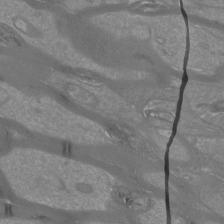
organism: Mouse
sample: Cortical neurons